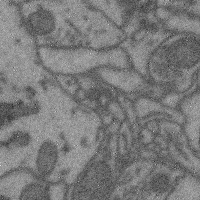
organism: Mouse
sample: Cerebral cortex